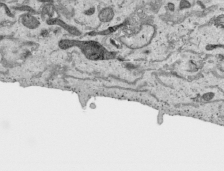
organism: Human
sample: Mitochondria in HCT116 cells